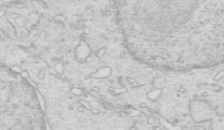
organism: Mouse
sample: Multiciliated cells